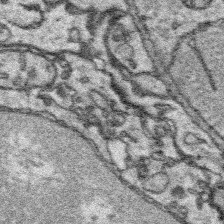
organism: Platynereis dumerilii